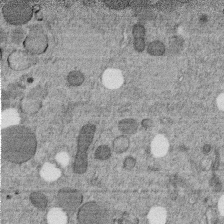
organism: C. elegans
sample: C. elegans embryo early stage